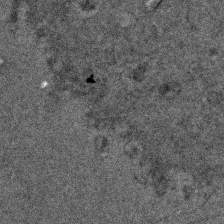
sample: Trachea